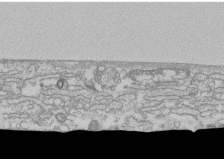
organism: Human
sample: CRL-1474